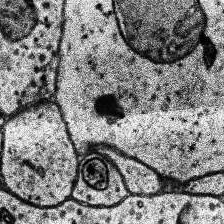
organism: Human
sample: Temporal Lobe